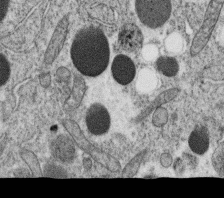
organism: C. elegans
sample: C. elegans oocyte; sperm cells